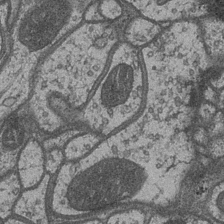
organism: Drosophila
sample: Optic medulla